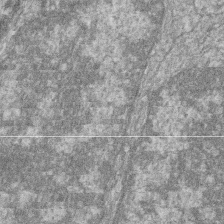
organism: Zebrafish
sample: Cilia; retinal pigment epithelium